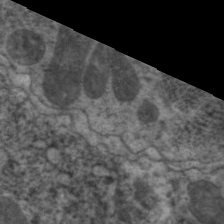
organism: C. elegans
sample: Pharynx